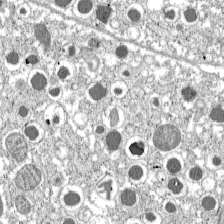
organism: C57BL Mouse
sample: Pancreatic islet